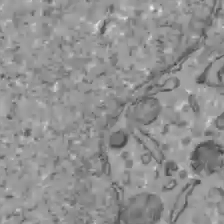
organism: C57BL Mouse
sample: Liver